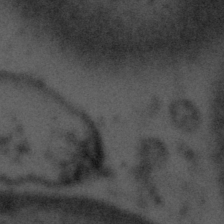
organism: Tuwongella immobilis